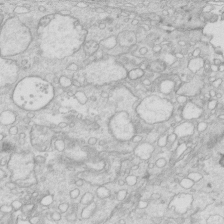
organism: Mouse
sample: Multiciliated cells